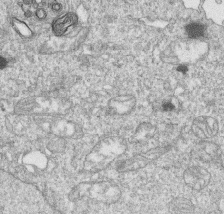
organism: Human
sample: HeLa cell HIV synapse